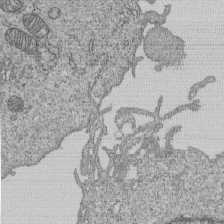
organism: Human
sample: MDA-MB-231 cells